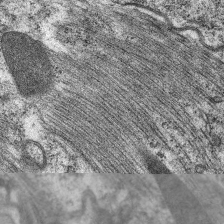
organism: C. elegans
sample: Pharynx